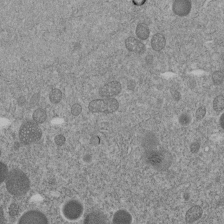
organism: C. elegans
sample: C. elegans embryo early stage